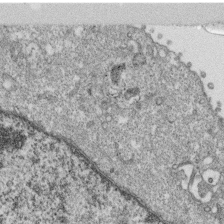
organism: African green monkey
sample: Vero E6 cells infected with SARS-CoV-2